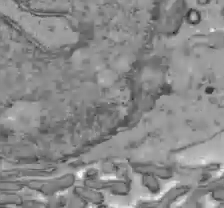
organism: C57BL Mouse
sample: Liver